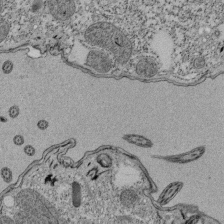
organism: Tetrahymena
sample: Cilia in tetrahymena